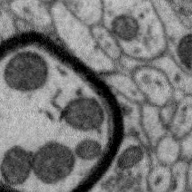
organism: Zebra finch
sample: Brain